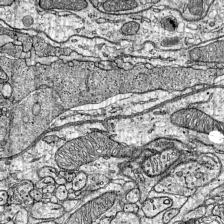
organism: Mouse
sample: Visual Cortex